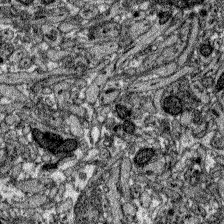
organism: Zebrafish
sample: Larval olfactory bulb